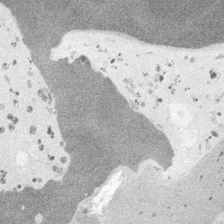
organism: Embia sp.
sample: Silk gland